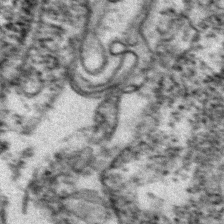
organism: Zebrafish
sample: Zebrafish embryo